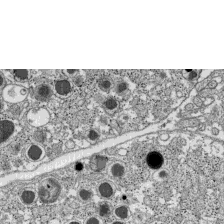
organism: C57BL Mouse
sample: Pancreatic islet